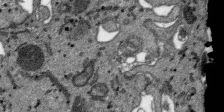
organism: Human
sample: Lung epithelial cells, uninfected (mock) control